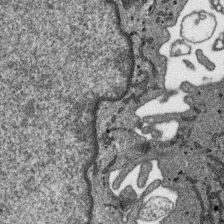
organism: Human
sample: Lung epithelial cells infected with SARS-CoV-2